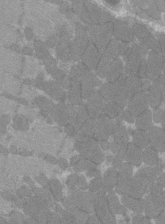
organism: C57BL Mouse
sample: Tibialis anterior muscle cell